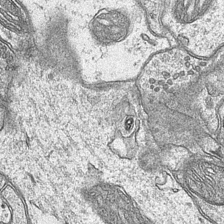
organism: Mouse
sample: CA1 Hippocampus